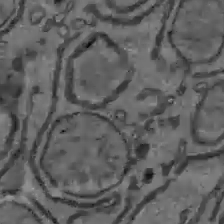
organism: C57BL Mouse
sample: Liver